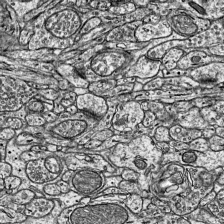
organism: Mouse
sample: Visual Cortex